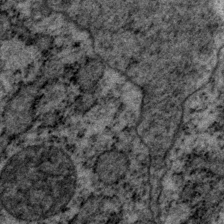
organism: P. pacificus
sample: Pharynx